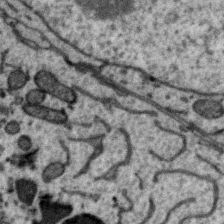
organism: Zebra finch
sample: Brain